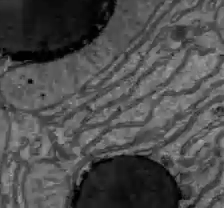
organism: C57BL Mouse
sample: Liver